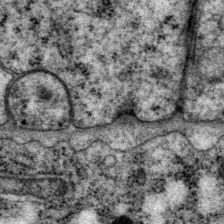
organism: P. pacificus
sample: Pharynx